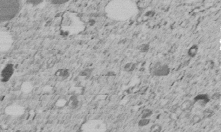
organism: C. elegans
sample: C. elegans embryo early stage